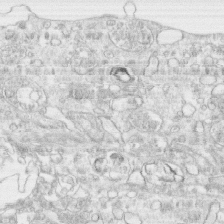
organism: Human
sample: CRL-1474